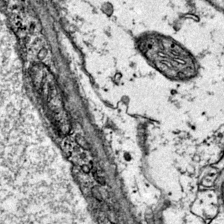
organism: Mouse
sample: Primary visual cortex